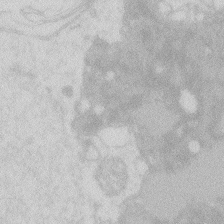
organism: Zebrafish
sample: Macrophage